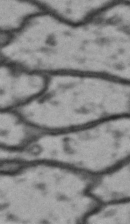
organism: Drosophila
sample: Brain